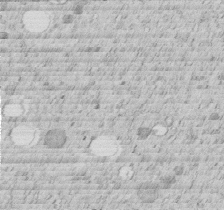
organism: C. elegans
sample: C. elegans embryo early stage